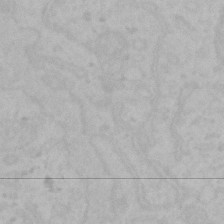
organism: Mouse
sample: Choroid plexus